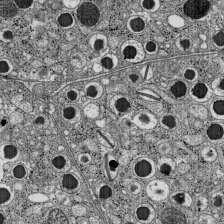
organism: C57BL Mouse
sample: Pancreatic islet